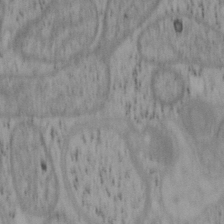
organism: Mouse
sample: OT-I killer T cells with ID8 ovarian cancer cells